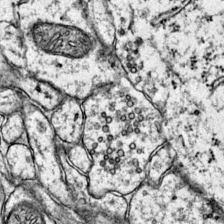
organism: Mouse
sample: Primary visual cortex